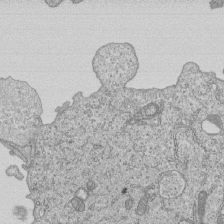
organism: Human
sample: MDA-MB-231 cells